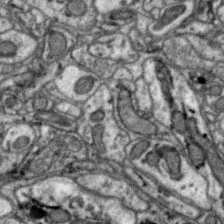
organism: Zebra finch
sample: Brain